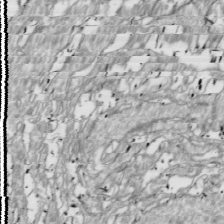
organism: Drosophila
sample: Cell division; meiosis; drosophila spermatocytes